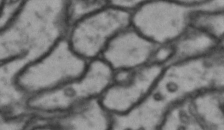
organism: Drosophila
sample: Brain